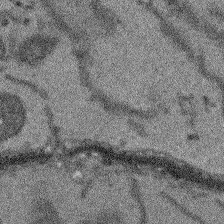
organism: Arabidopsis thaliana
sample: Root tip